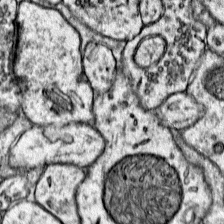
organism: Mouse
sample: Primary visual cortex